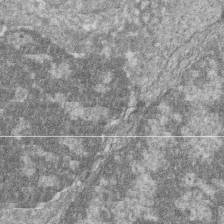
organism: Zebrafish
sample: Cilia; retinal pigment epithelium